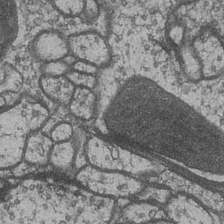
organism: Drosophila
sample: Optic medulla